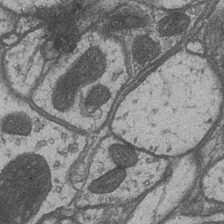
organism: Drosophila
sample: Optic medulla